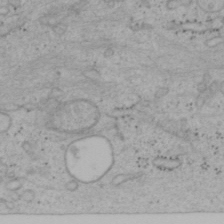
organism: Human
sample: HeLa cells